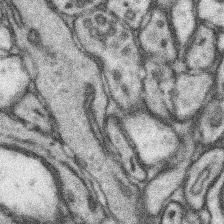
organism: Mouse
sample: Somatosensory cortex neuropil